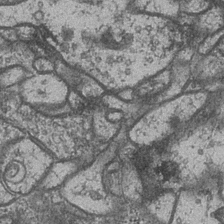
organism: Drosophila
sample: Optic medulla